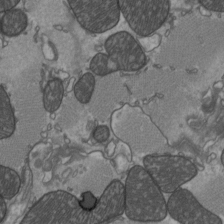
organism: C57BL Mouse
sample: Heart